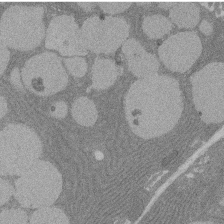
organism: Rat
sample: Salivary granule